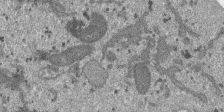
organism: Human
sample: Lung epithelial cells infected with SARS-CoV-2